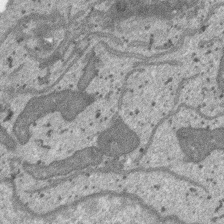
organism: Human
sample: Lung epithelial cells infected with SARS-CoV-2